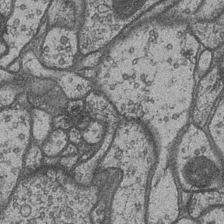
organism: Drosophila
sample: Optic medulla